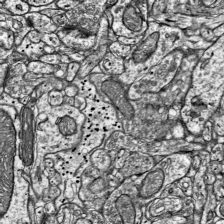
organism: Mouse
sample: Visual Cortex